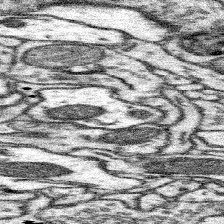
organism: Mouse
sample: Somatosensory cortex neuropil